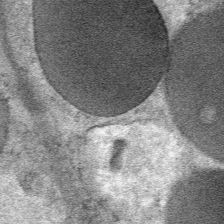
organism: Mouse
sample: Mouse Salivary gland